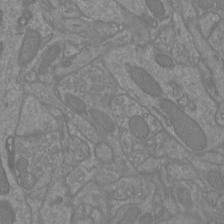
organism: Mouse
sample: Cortical neurons